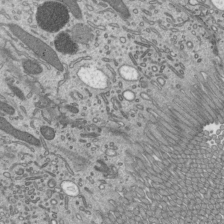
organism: Mouse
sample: Mouse epididymis efferent ductule cilia